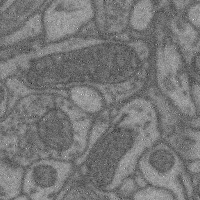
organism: Mouse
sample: Cerebral cortex